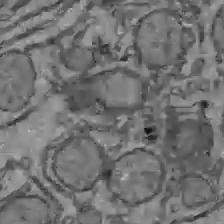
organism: C57BL Mouse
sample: Liver